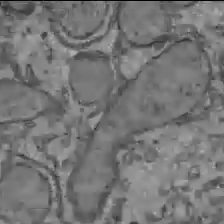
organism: C57BL Mouse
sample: Liver